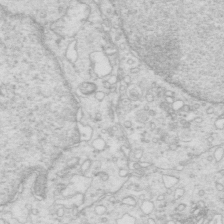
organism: Mouse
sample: Multiciliated cells